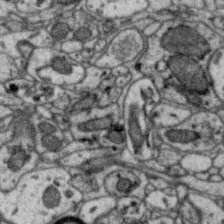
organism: Zebra finch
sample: Brain